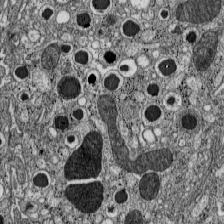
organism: C57BL Mouse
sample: Pancreatic islet